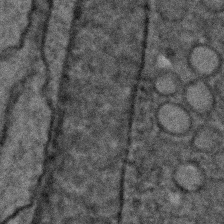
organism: C. elegans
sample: C. elegans embryo